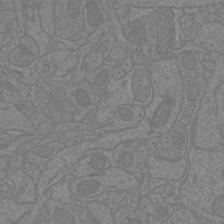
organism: Mouse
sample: Cortical neurons